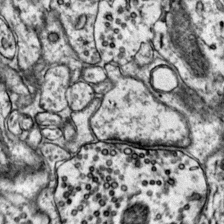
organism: Mouse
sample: Primary visual cortex